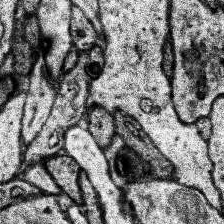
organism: Human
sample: Temporal Lobe